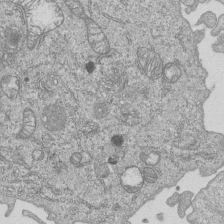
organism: Human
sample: MDA-MB-231 cells